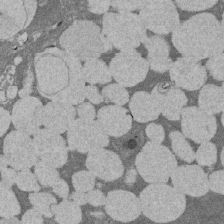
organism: Rat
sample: Salivary granule